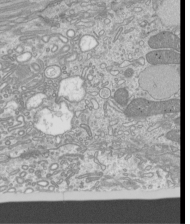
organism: Mouse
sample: Cilia; mouse epididymis